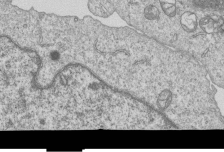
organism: Human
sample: MDA-MB-231 cells